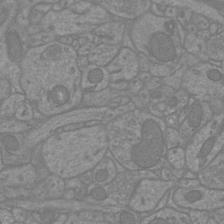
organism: Mouse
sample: Cortical neurons